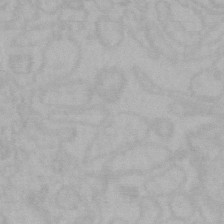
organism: Mouse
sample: Choroid plexus